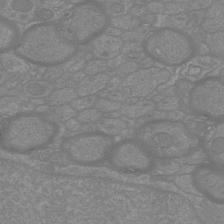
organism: Mouse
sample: Cortical neurons